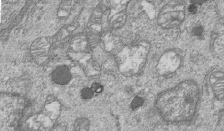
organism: Human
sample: MDA-MB-231 cells